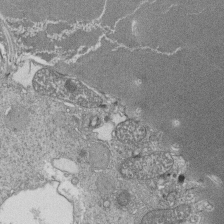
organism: Tetrahymena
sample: Cilia in tetrahymena